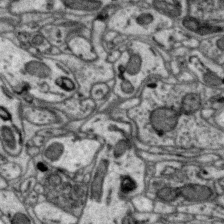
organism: Zebra finch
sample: Brain